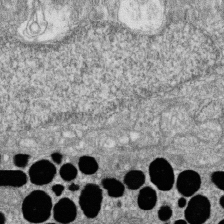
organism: Zebrafish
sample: Cilia; retinal pigment epithelium